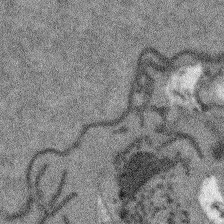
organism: Arabidopsis thaliana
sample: Root tip